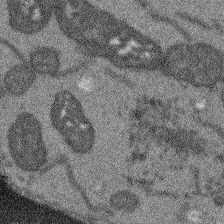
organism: Arabidopsis thaliana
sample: Root tip